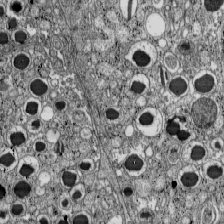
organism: C57BL Mouse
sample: Pancreatic islet